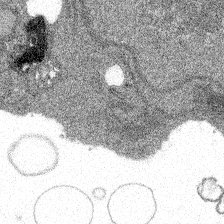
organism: Spongilla lacustris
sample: Multiple